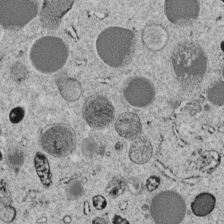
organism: C. elegans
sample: C. elegans embryo early stage